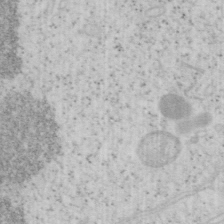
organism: Human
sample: HeLa cells